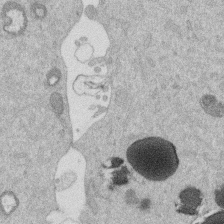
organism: Mouse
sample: Dividing mouse embryo 1 cell stage